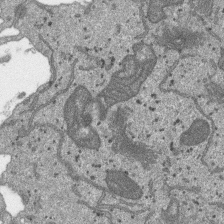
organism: Human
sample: Lung epithelial cells infected with SARS-CoV-2